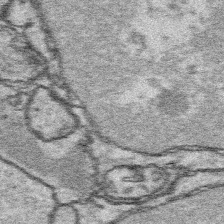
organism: Platynereis dumerilii